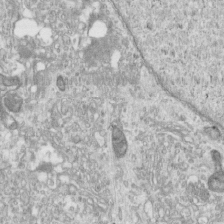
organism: Human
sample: Centriole in RPE cells